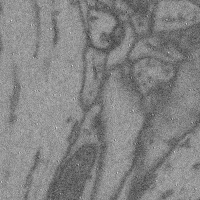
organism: Mouse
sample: Cerebral cortex